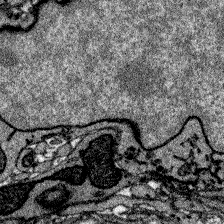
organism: Zebrafish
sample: Larval olfactory bulb